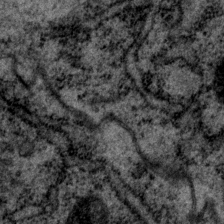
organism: P. pacificus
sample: Pharynx